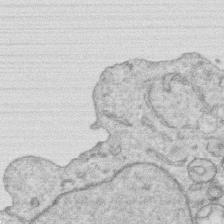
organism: Human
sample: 1205lu cells